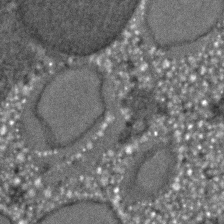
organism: C. elegans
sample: C. elegans embryo